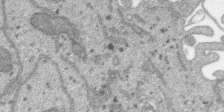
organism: Human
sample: Lung epithelial cells infected with SARS-CoV-2